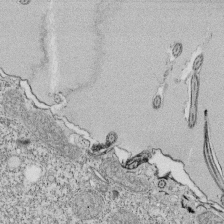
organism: Tetrahymena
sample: Cilia in tetrahymena